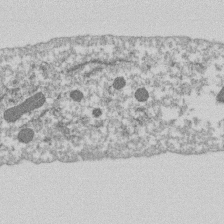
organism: Dictyostelium discoideum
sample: Dictyostelium multivesicular bodies